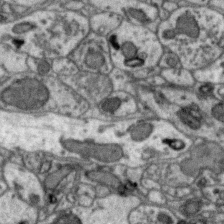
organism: Zebra finch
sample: Brain